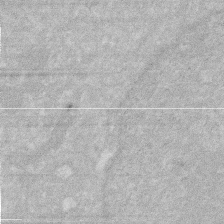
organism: Human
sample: HIV infected U937 cells